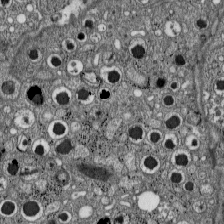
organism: C57BL Mouse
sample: Pancreatic islet